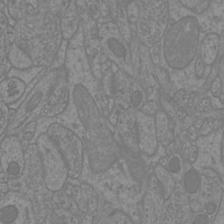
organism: Mouse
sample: Cortical neurons